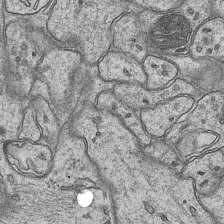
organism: Mouse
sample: CA1 Hippocampus